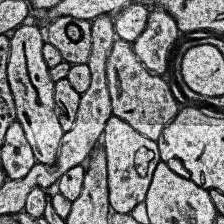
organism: Human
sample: Temporal Lobe